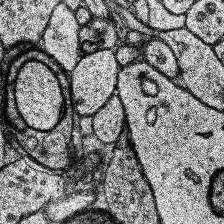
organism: Human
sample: Temporal Lobe